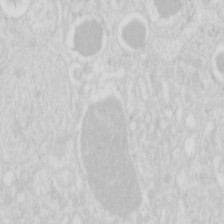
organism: Mouse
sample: Pancreas